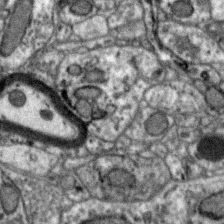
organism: Zebra finch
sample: Brain